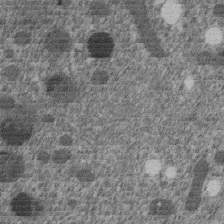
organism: C. elegans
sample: C. elegans embryo early stage